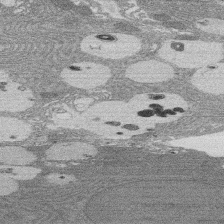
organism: Rat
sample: Salivary granule